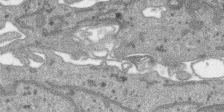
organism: Human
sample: Lung epithelial cells infected with SARS-CoV-2